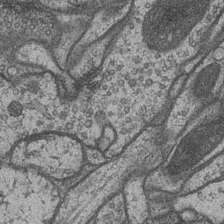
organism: Drosophila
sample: Optic medulla